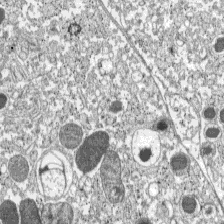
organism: C57BL Mouse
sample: Pancreatic islet